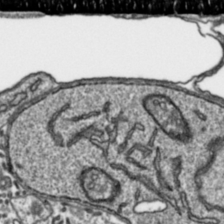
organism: Toxoplasma gondii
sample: Parasites in a vacuole inside a host cell